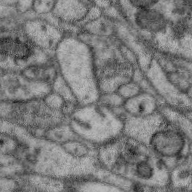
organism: Zebra finch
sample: Brain